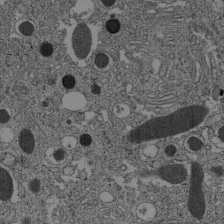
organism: C57BL Mouse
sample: Pancreatic islet